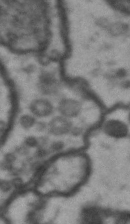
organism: Drosophila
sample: Brain